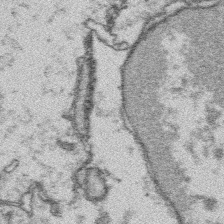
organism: Platynereis dumerilii